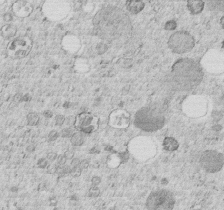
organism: C. elegans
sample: C. elegans embryo early stage